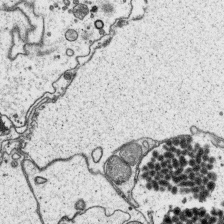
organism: Platynereis dumerilii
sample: Parapodia